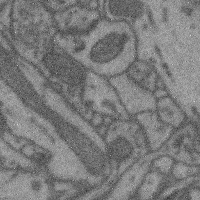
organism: Mouse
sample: Cerebral cortex